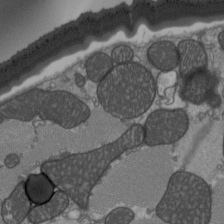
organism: C57BL Mouse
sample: Heart